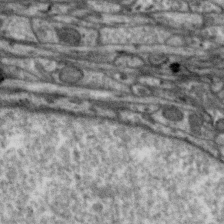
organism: Zebra finch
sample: Brain